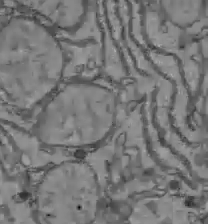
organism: C57BL Mouse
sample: Liver